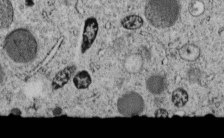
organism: C. elegans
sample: C. elegans embryo early stage